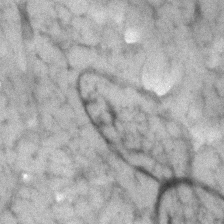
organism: Human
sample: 1205lu cells